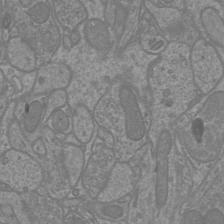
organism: Mouse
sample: Cortical neurons